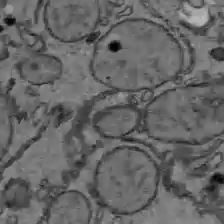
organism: C57BL Mouse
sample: Liver